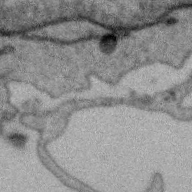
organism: Zebra finch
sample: Brain